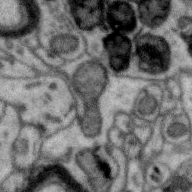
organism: Zebra finch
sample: Brain